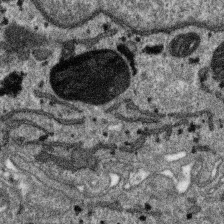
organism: Human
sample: Lung epithelial cells infected with SARS-CoV-2